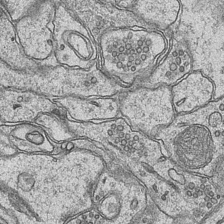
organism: Mouse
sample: CA1 Hippocampus